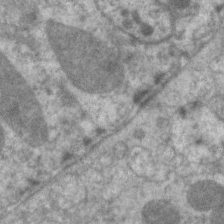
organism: C. elegans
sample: Pharynx